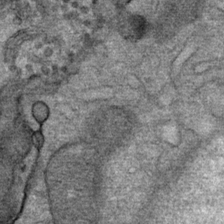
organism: Mouse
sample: Mouse Salivary gland